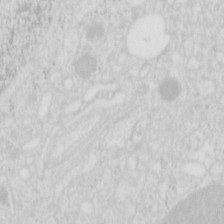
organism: Mouse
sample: Pancreas